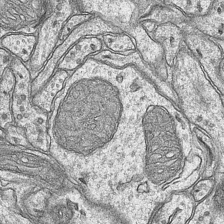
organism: Mouse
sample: CA1 Hippocampus